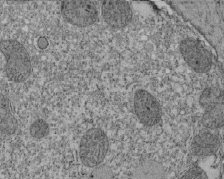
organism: Tetrahymena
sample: Cilia in tetrahymena